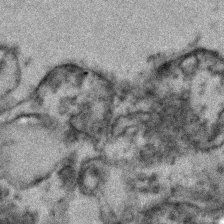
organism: Zebrafish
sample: Zebrafish embryo